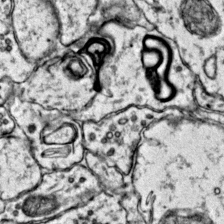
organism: Mouse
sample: Primary visual cortex